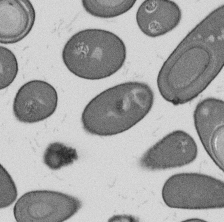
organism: B. subtilis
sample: Bacterial spore